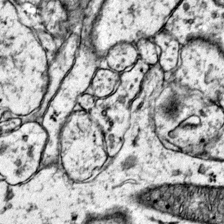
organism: Mouse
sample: Primary visual cortex